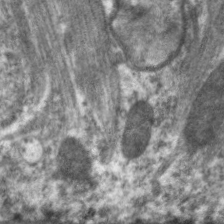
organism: C. elegans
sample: Pharynx